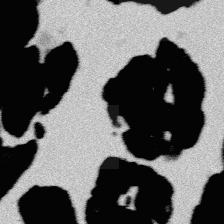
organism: Platynereis dumerilii